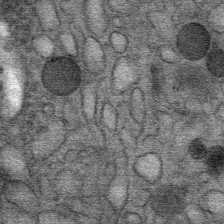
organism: Mouse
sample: Mouse Salivary gland